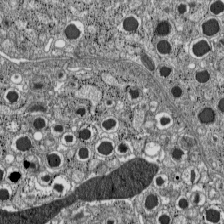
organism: C57BL Mouse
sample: Pancreatic islet